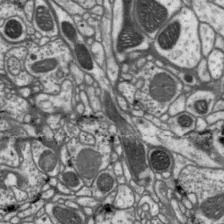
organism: Drosophila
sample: Protocerebral bridge